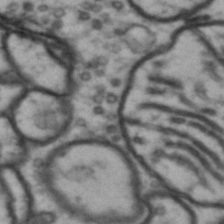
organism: Drosophila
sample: Brain